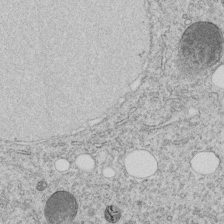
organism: C. elegans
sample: C. elegans embryo early stage